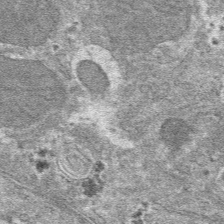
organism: Mouse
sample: Mouse hepatocytes